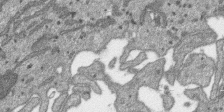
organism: Human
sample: Lung epithelial cells infected with SARS-CoV-2